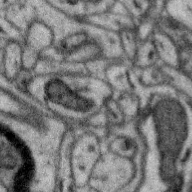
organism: Zebra finch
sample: Brain